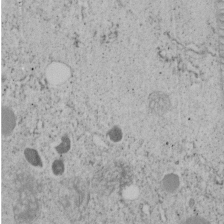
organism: C. elegans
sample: C. elegans embryo early stage